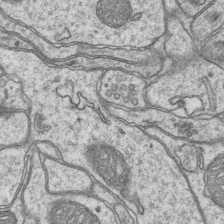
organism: Mouse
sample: CA1 Hippocampus